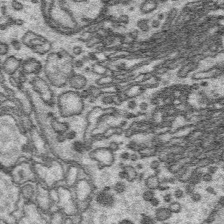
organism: Platynereis dumerilii